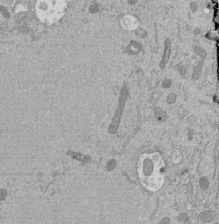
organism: Mouse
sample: ED-1 cell nuclei; centrioles